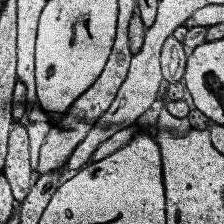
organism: Human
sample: Temporal Lobe